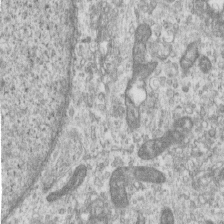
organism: Human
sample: Centriole in RPE cells